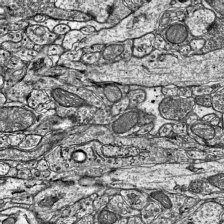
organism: Mouse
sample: Visual Cortex